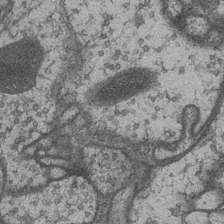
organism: Drosophila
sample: Optic medulla